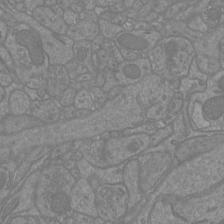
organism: Mouse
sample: Cortical neurons